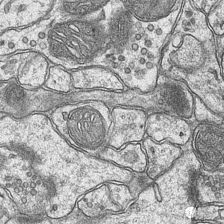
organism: Mouse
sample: CA1 Hippocampus